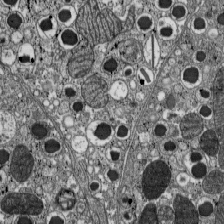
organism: C57BL Mouse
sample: Pancreatic islet